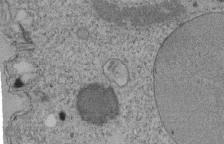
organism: Tetrahymena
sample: Cilia in tetrahymena